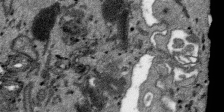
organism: Human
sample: Lung epithelial cells, uninfected (mock) control